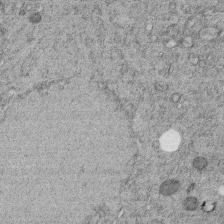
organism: C. elegans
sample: C. elegans embryo early stage